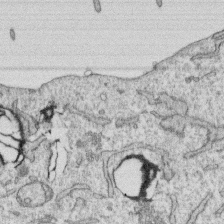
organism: Human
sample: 1205lu cells